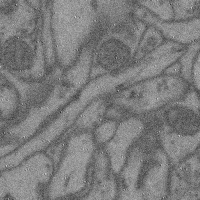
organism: Mouse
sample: Cerebral cortex